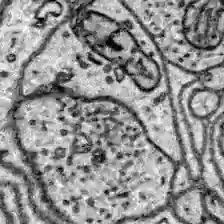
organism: Zebrafish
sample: Brain